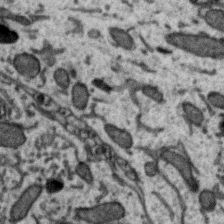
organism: Zebra finch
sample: Brain